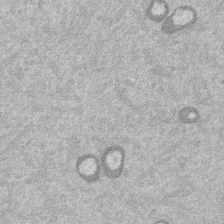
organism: Mouse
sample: Dividing mouse embryo 1 cell stage